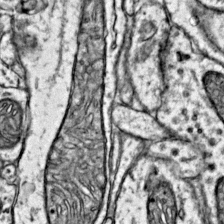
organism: Mouse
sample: Primary visual cortex